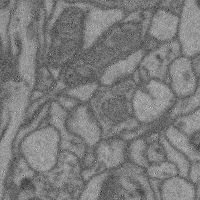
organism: Mouse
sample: Cerebral cortex